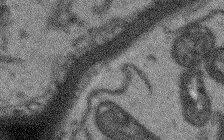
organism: Arabidopsis thaliana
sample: Root tip